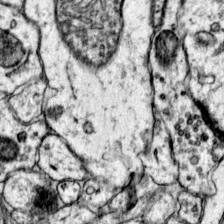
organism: Mouse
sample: Primary visual cortex